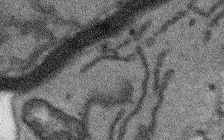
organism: Arabidopsis thaliana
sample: Root tip